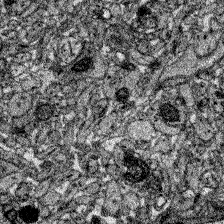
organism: Zebrafish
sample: Larval olfactory bulb